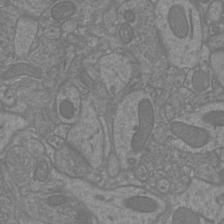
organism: Mouse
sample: Cortical neurons